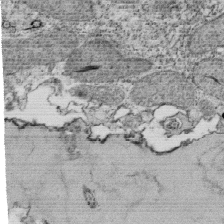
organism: Tetrahymena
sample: Cilia in tetrahymena